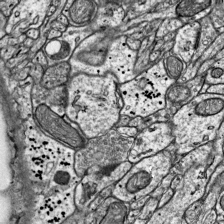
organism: Mouse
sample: Visual Cortex